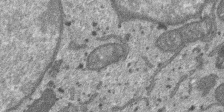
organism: Human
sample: Lung epithelial cells infected with SARS-CoV-2